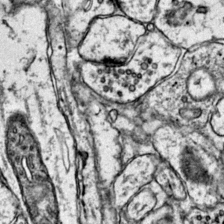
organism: Mouse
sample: Primary visual cortex